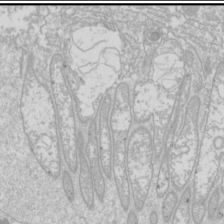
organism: Drosophila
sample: Cell division; meiosis; drosophila spermatocytes